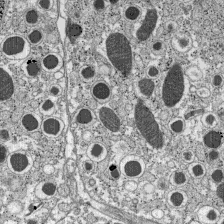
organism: C57BL Mouse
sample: Pancreatic islet